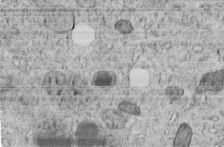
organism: C. elegans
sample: C. elegans embryo early stage